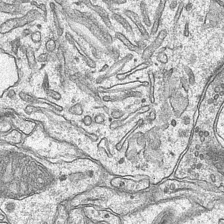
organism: Mouse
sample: CA1 Hippocampus